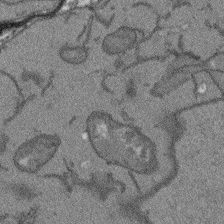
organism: Arabidopsis thaliana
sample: Root tip